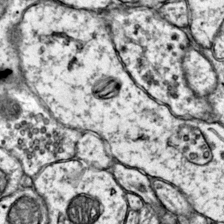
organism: Mouse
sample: Primary visual cortex